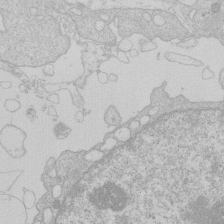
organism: Human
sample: Macrophage cells